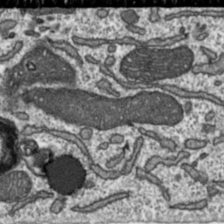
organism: Toxoplasma gondii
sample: Parasites in a vacuole inside a host cell